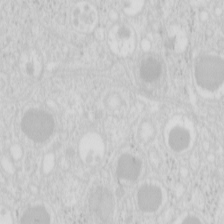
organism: Mouse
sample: Pancreas